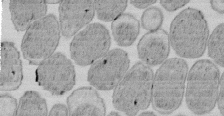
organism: E. coli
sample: Bacterial nucleoid